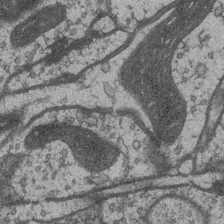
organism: Drosophila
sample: Optic medulla